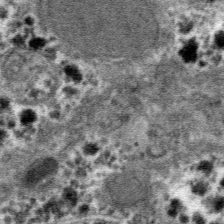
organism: Mouse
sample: Mouse hepatocytes